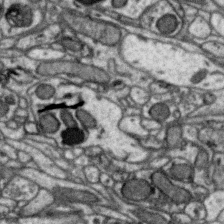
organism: Zebra finch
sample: Brain